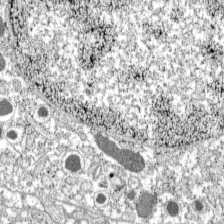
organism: C57BL Mouse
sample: Pancreatic islet